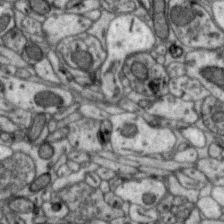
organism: Zebra finch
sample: Brain